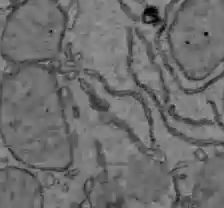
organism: C57BL Mouse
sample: Liver